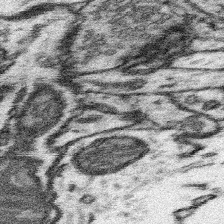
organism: Mouse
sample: Somatosensory cortex neuropil